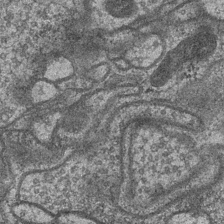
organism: Drosophila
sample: Optic medulla